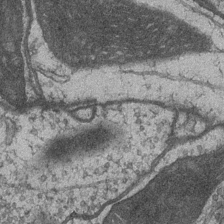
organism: Drosophila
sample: Optic medulla